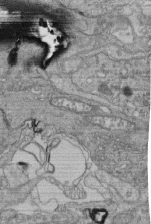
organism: Human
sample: Retinal organoid Rod and Cone cells